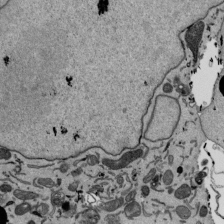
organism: Mouse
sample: ED-1 cell nuclei; centrioles